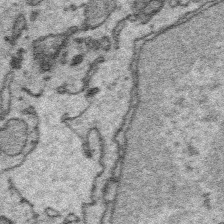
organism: Platynereis dumerilii